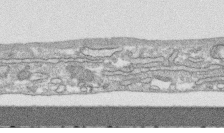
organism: Human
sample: CRL-1474